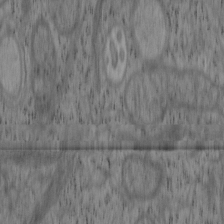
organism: Human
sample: HeLa cells